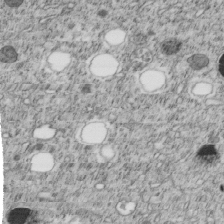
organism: C. elegans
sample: C. elegans embryo early stage